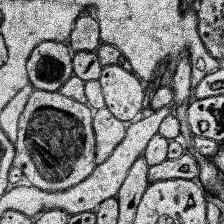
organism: Human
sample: Temporal Lobe